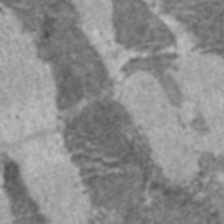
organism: C57BL Mouse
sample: Heart